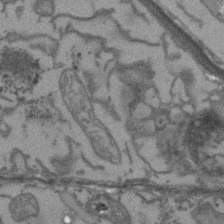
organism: Arabidopsis thaliana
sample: Root tip